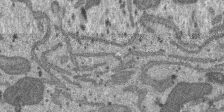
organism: Human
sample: Lung epithelial cells infected with SARS-CoV-2